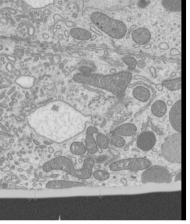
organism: Mouse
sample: Cilia; mouse epididymis